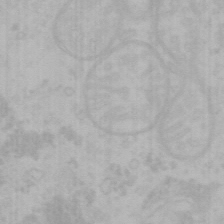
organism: Mouse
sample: Choroid plexus